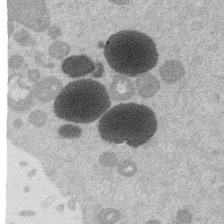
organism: Mouse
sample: Dividing mouse embryo 1 cell stage